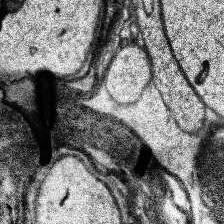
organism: Human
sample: Temporal Lobe